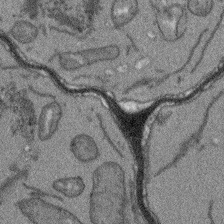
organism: Arabidopsis thaliana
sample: Root tip